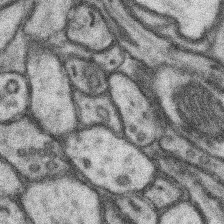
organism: Mouse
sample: Somatosensory cortex neuropil